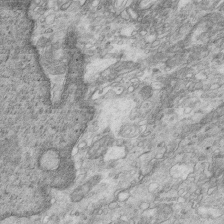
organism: Mouse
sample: Multiciliated cells